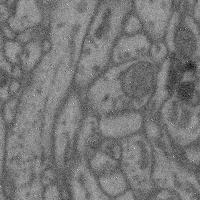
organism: Mouse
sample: Cerebral cortex